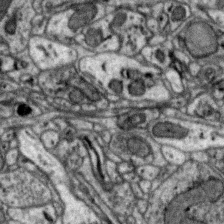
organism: Zebra finch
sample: Brain